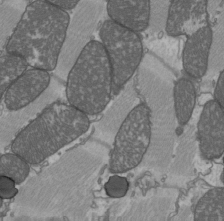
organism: C57BL Mouse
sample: Heart